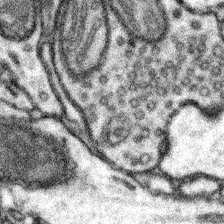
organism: Mouse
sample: Somatosensory cortex neuropil